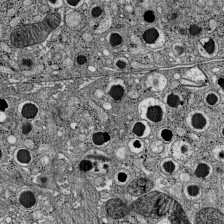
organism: C57BL Mouse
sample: Pancreatic islet